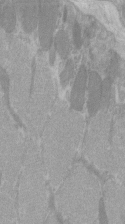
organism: C57BL Mouse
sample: Tibialis anterior muscle cell